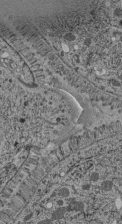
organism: C. elegans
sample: C. elegans pharynx